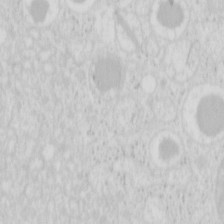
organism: Mouse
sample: Pancreas